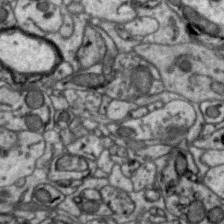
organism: Zebra finch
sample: Brain